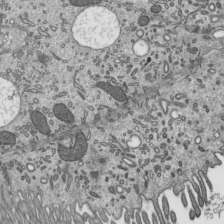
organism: Mouse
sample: Mouse epididymis efferent ductule cilia